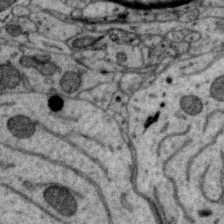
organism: Zebra finch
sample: Brain